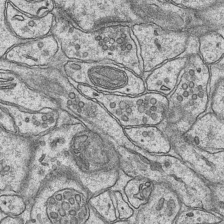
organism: Mouse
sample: CA1 Hippocampus